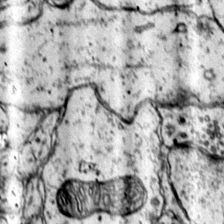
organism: Mouse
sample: Primary visual cortex